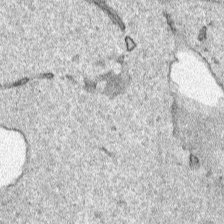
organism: Human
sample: Mitochondria in HCT116 cells